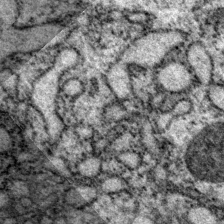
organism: P. pacificus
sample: Pharynx